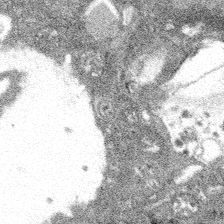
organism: Spongilla lacustris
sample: Multiple